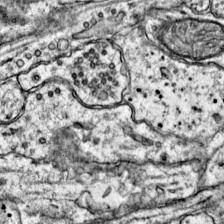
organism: Mouse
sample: Primary visual cortex